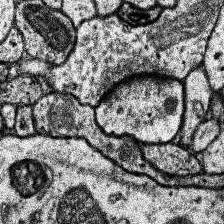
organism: Human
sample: Temporal Lobe